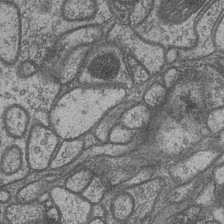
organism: Drosophila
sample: Optic medulla